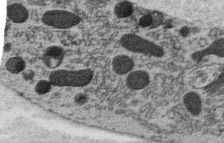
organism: C. elegans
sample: C. elegans oocyte; sperm cells